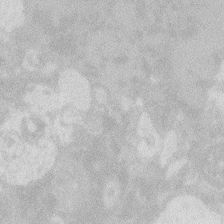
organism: Zebrafish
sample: Macrophage